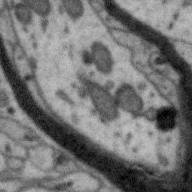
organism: Zebra finch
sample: Brain